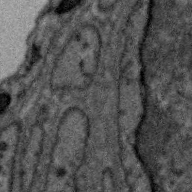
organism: Zebra finch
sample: Brain